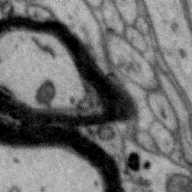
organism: Zebra finch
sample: Brain